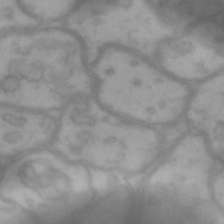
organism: Drosophila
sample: Brain